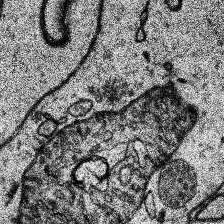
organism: Human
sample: Temporal Lobe